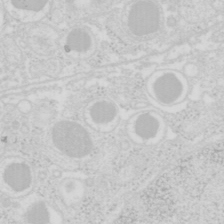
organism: Mouse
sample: Pancreas